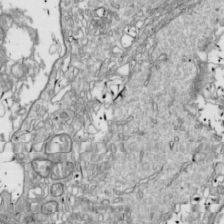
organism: Drosophila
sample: Cell division; meiosis; drosophila spermatocytes